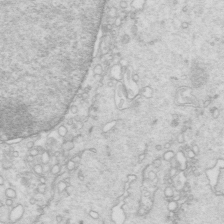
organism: Mouse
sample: Multiciliated cells